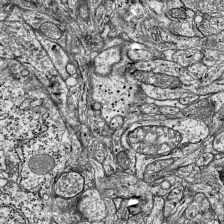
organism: Mouse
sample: Visual Cortex